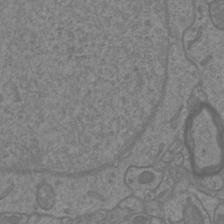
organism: Mouse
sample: Cortical neurons